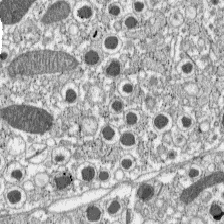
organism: C57BL Mouse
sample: Pancreatic islet